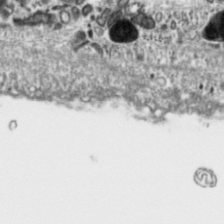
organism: Toxoplasma gondii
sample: Parasites in a vacuole inside a host cell